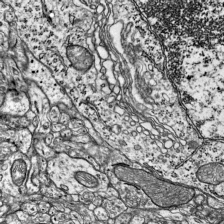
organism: Mouse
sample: Visual Cortex